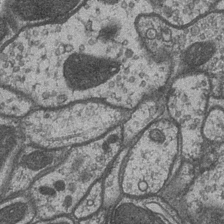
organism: Drosophila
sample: Optic medulla